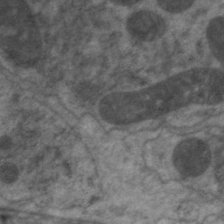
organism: C. elegans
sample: Pharynx